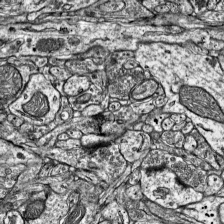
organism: Mouse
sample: Visual Cortex